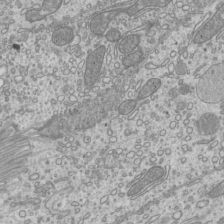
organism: Mouse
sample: Cilia; mouse epididymis